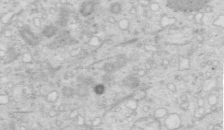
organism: Mouse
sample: Multiciliated cells